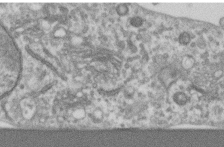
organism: Human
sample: Centriole in RPE cells